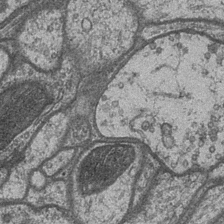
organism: Drosophila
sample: Optic medulla